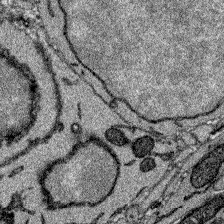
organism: Zebrafish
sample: Larval olfactory bulb